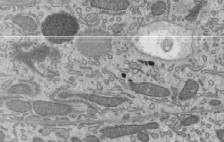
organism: Mouse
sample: Mouse epididymis efferent ductule cilia